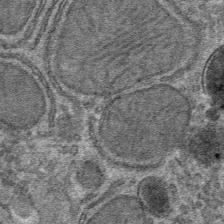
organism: Mouse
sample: Mouse hepatocytes